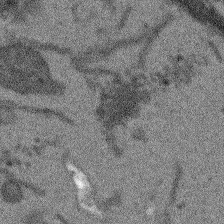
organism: Arabidopsis thaliana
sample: Root tip